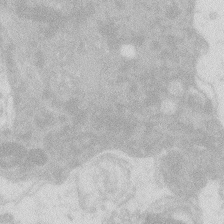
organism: Zebrafish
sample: Macrophage